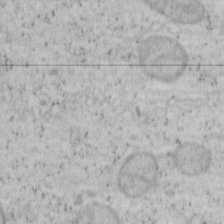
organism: Human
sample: HeLa cells